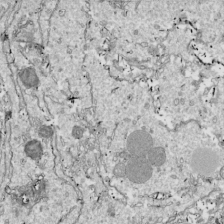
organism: Drosophila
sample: Cell division; meiosis; drosophila spermatocytes